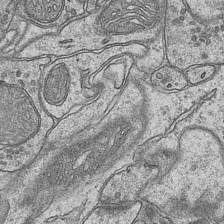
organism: Mouse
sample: CA1 Hippocampus